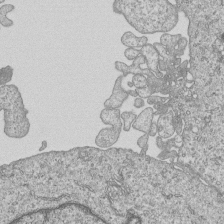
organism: Human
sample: MDA-MB-231 cells